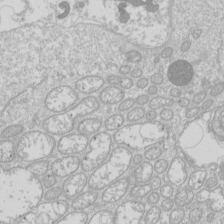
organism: Drosophila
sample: Cell division; meiosis; drosophila spermatocytes